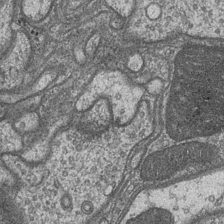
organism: Drosophila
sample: Optic medulla